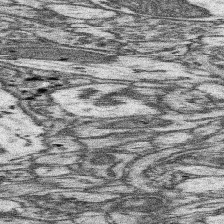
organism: Mouse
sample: Somatosensory cortex neuropil